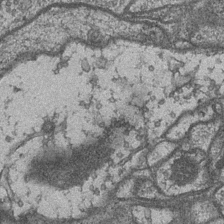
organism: Drosophila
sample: Optic medulla